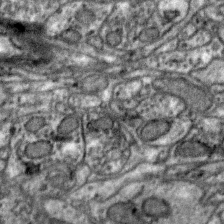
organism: Zebra finch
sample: Brain